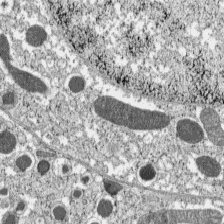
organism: C57BL Mouse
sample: Pancreatic islet